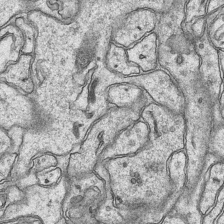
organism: Mouse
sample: CA1 Hippocampus